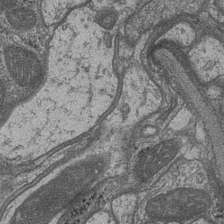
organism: Drosophila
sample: Optic medulla